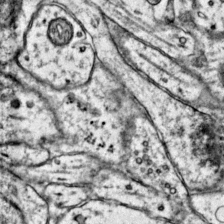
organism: Mouse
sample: Primary visual cortex